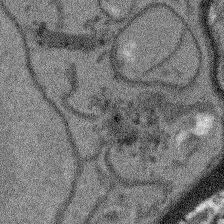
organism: Arabidopsis thaliana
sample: Root tip